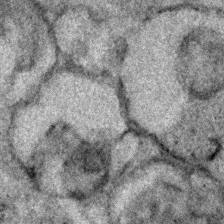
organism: Human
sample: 1205lu cells